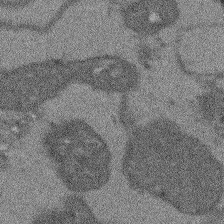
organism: Arabidopsis thaliana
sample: Root tip